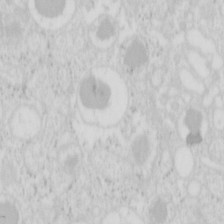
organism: Mouse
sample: Pancreas